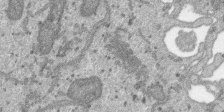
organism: Human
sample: Lung epithelial cells infected with SARS-CoV-2